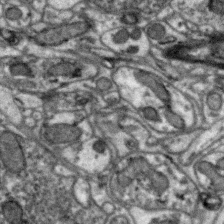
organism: Zebra finch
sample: Brain